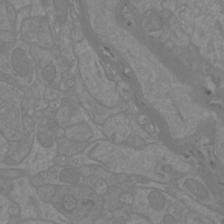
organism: Mouse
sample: Cortical neurons